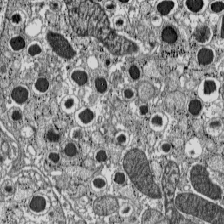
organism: C57BL Mouse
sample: Pancreatic islet